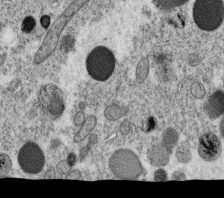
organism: C. elegans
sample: C. elegans oocyte; sperm cells